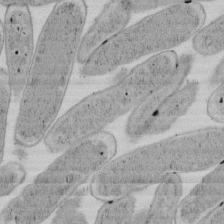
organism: E. coli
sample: Bacterial nucleoid